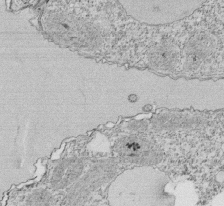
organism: Tetrahymena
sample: Cilia in tetrahymena